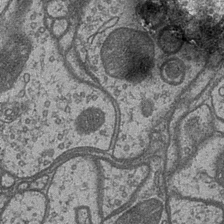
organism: Drosophila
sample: Optic medulla